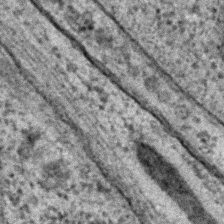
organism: C. elegans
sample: C. elegans embryo